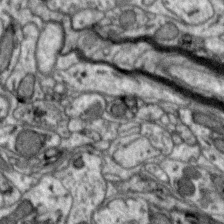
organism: Zebra finch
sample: Brain